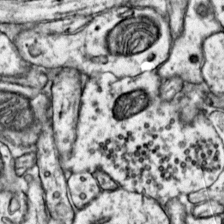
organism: Mouse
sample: Primary visual cortex